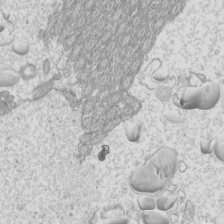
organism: Mouse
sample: Cilia; mouse epididymis